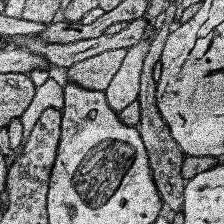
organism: Human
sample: Temporal Lobe